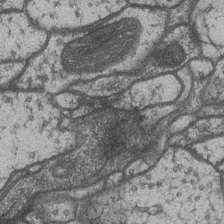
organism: Drosophila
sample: Optic medulla